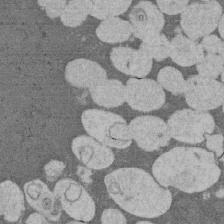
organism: Rat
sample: Salivary granule